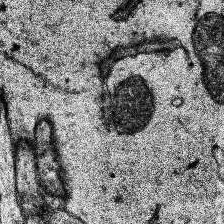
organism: Human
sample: Temporal Lobe